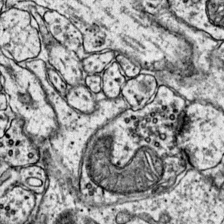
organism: Mouse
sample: Primary visual cortex